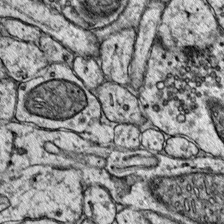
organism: Mouse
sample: Primary visual cortex